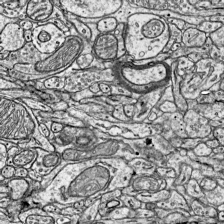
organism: Mouse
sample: Visual Cortex